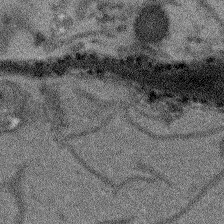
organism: Arabidopsis thaliana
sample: Root tip